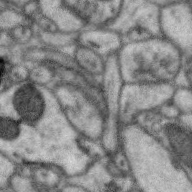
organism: Zebra finch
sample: Brain